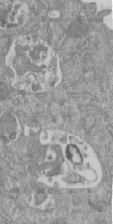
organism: Mouse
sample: ED-1 cell nuclei; centrioles